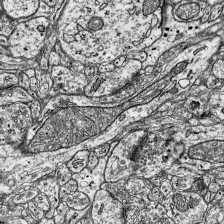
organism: Mouse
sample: Visual Cortex